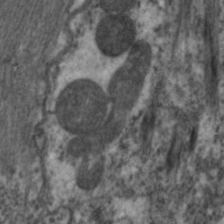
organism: C. elegans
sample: Pharynx